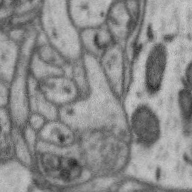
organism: Zebra finch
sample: Brain